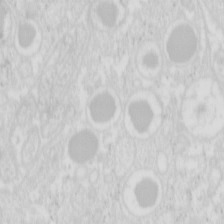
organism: Mouse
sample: Pancreas